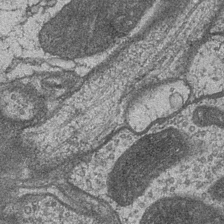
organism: Drosophila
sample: Optic medulla